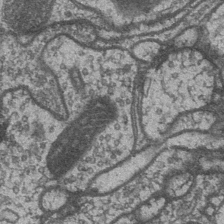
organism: Drosophila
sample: Optic medulla